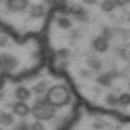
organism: Drosophila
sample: Brain